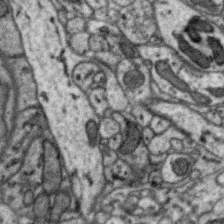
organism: Zebra finch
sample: Brain